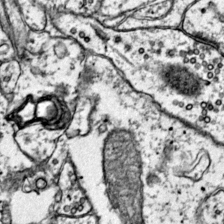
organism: Mouse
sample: Primary visual cortex